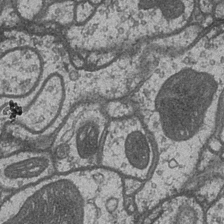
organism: Drosophila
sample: Optic medulla